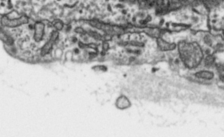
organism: Toxoplasma gondii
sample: Parasites in a vacuole inside a host cell